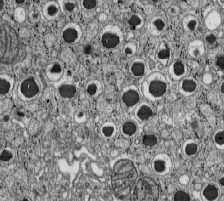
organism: C57BL Mouse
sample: Pancreatic islet